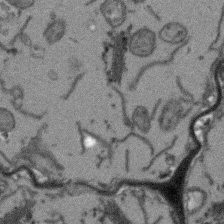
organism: Arabidopsis thaliana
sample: Root tip